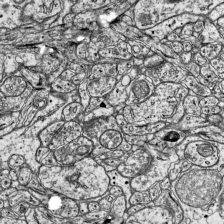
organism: Mouse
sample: Visual Cortex